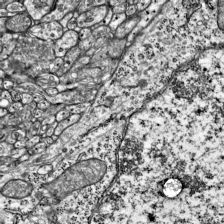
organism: Mouse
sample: Visual Cortex